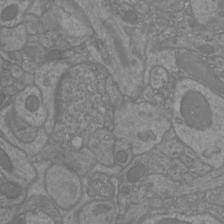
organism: Mouse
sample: Cortical neurons